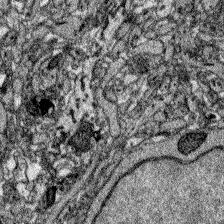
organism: Zebrafish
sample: Larval olfactory bulb